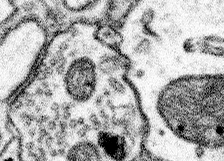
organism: Mouse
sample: Somatosensory cortex neuropil